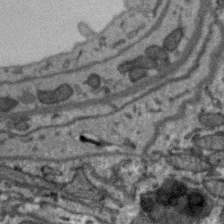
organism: Zebra finch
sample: Brain